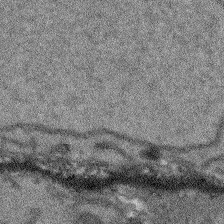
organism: Arabidopsis thaliana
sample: Root tip